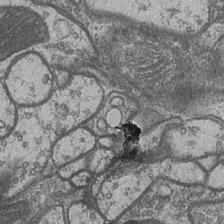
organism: Drosophila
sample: Optic medulla